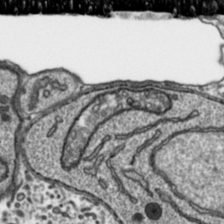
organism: Toxoplasma gondii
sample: Parasites in a vacuole inside a host cell